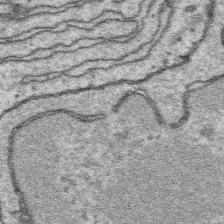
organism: Platynereis dumerilii